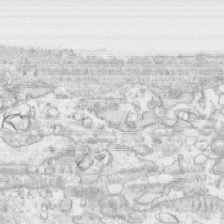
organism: Human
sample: CRL-1474